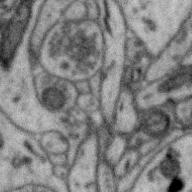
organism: Zebra finch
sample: Brain